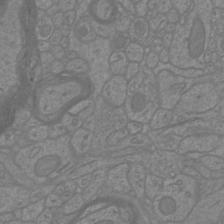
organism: Mouse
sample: Cortical neurons